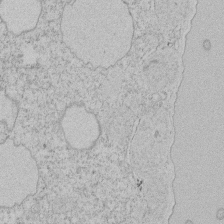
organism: Tetrahymena